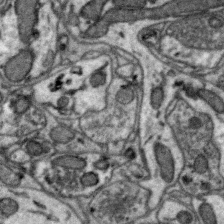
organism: Zebra finch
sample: Brain